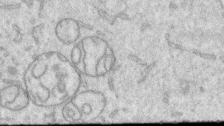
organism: Human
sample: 1205lu cells